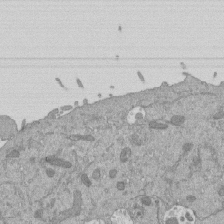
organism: Mouse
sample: ED-1 cell nuclei; centrioles